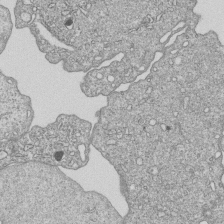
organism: Human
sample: MDA-MB-231 cells